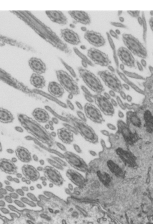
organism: Mouse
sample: Mouse epididymis efferent ductule cilia